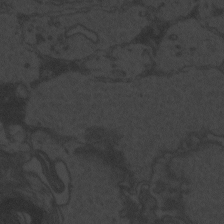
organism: Zebrafish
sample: Macrophage infected with Toxoplasma gondii